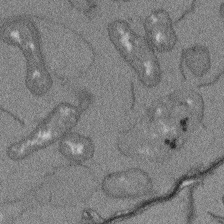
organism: Arabidopsis thaliana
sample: Root tip